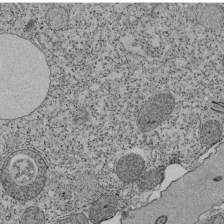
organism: Tetrahymena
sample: Cilia in tetrahymena